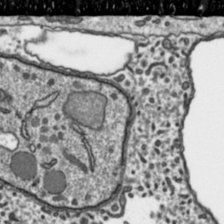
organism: Toxoplasma gondii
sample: Parasites in a vacuole inside a host cell